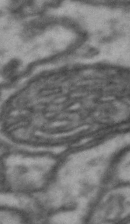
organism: Drosophila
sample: Brain